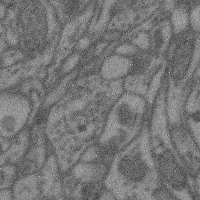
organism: Mouse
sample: Cerebral cortex